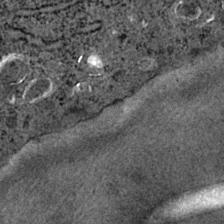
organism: C. elegans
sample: C. elegans embryo